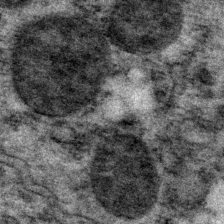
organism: P. pacificus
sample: Pharynx